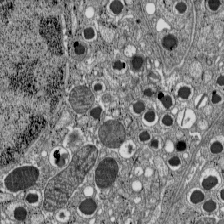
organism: C57BL Mouse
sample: Pancreatic islet